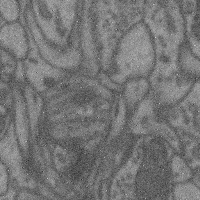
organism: Mouse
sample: Cerebral cortex